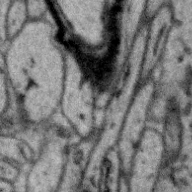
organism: Zebra finch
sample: Brain